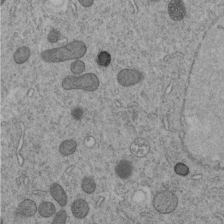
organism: C. elegans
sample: C. elegans embryo early stage